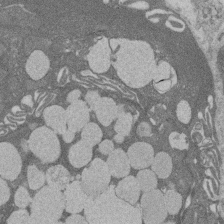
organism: Rat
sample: Salivary granule